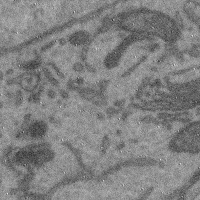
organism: Mouse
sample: Cerebral cortex